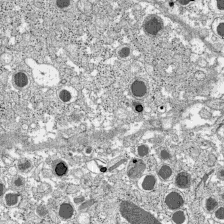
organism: C57BL Mouse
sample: Pancreatic islet